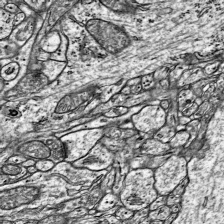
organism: Mouse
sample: Visual Cortex